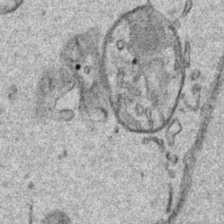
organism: Human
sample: Mitochondria in HCT116 cells